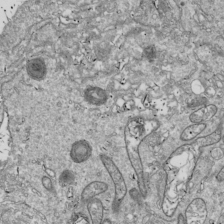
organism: Drosophila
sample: Cell division; meiosis; drosophila spermatocytes